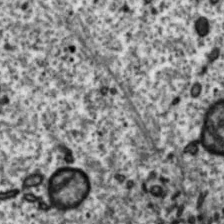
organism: Human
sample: HeLa cells